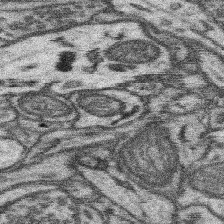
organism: Mouse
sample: Somatosensory cortex neuropil